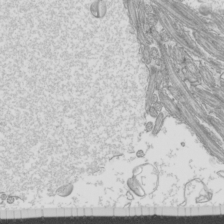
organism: Mouse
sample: Cilia; mouse epididymis